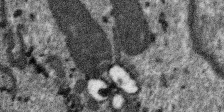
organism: Human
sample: Lung epithelial cells infected with SARS-CoV-2